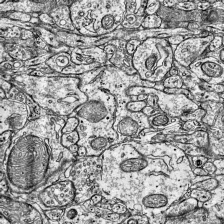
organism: Mouse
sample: Visual Cortex